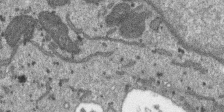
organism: Human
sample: Lung epithelial cells infected with SARS-CoV-2